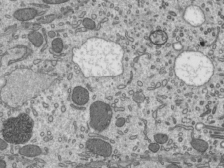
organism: Mouse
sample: Mouse epididymis efferent ductule cilia